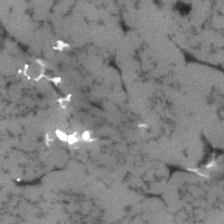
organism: Human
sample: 1205lu cells